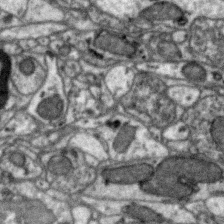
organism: Zebra finch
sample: Brain